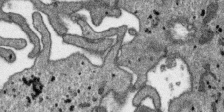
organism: Human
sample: Lung epithelial cells, uninfected (mock) control